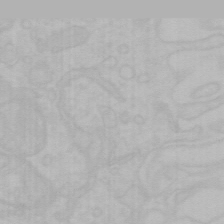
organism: Mouse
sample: Choroid plexus